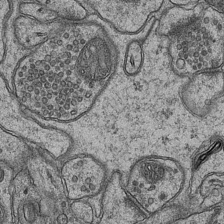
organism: Mouse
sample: CA1 Hippocampus